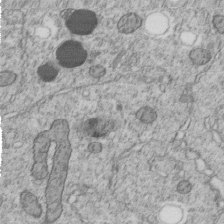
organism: C. elegans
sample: C. elegans embryo early stage